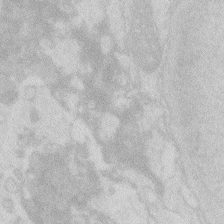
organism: Zebrafish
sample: Macrophage